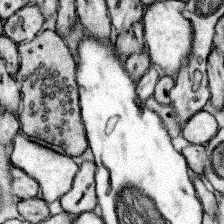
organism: Mouse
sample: Somatosensory cortex neuropil